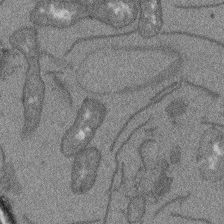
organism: Arabidopsis thaliana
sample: Root tip